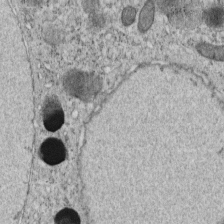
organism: C. elegans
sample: C. elegans embryo early stage